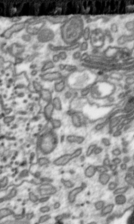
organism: Toxoplasma gondii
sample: Parasites in a vacuole inside a host cell